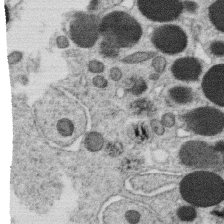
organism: C. elegans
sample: C. elegans oocyte; sperm cells